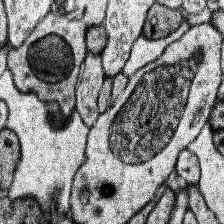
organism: Human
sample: Temporal Lobe